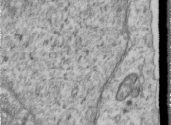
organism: Human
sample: Centriole in RPE cells